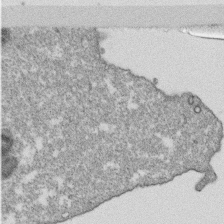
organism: African green monkey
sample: Vero E6 cells infected with SARS-CoV-2